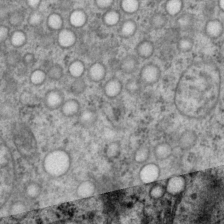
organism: P. pacificus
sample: Pharynx